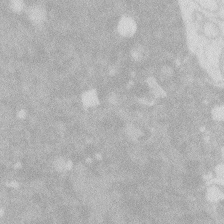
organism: Zebrafish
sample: Macrophage